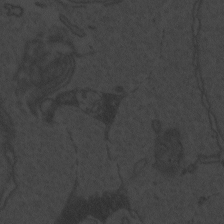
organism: Zebrafish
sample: Macrophage infected with Toxoplasma gondii